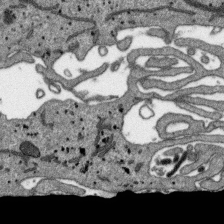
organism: Human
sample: Lung epithelial cells, uninfected (mock) control